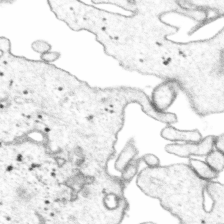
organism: Human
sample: HeLa cells